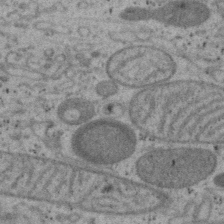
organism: Human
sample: HeLa cells